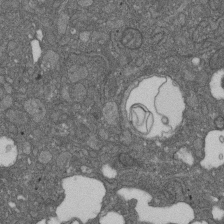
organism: Drosophila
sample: Nephrocyte